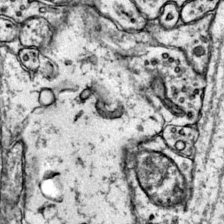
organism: Mouse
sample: Primary visual cortex